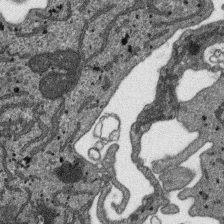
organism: Human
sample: Lung epithelial cells infected with SARS-CoV-2